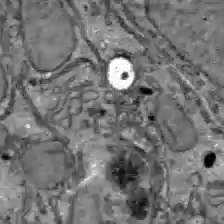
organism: C57BL Mouse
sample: Liver